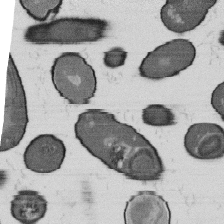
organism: B. subtilis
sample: Bacterial spore